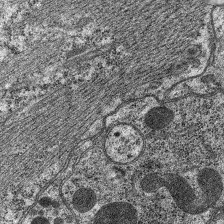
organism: C. elegans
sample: Pharynx